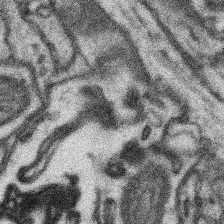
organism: Mouse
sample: Somatosensory cortex neuropil